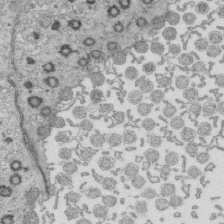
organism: Mouse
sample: Multiciliated cells